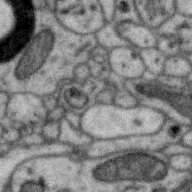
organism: Zebra finch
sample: Brain